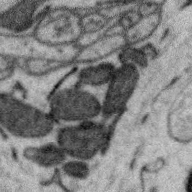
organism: Zebra finch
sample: Brain